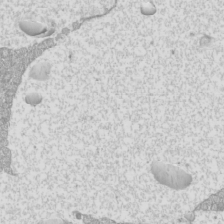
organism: Mouse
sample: Cilia; mouse epididymis